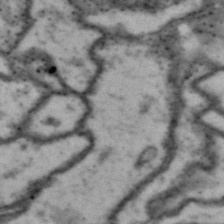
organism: Drosophila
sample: Brain